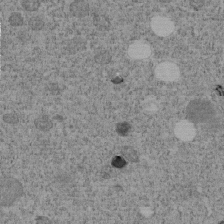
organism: C. elegans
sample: C. elegans embryo early stage